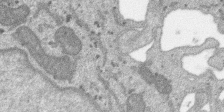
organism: Human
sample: Lung epithelial cells infected with SARS-CoV-2